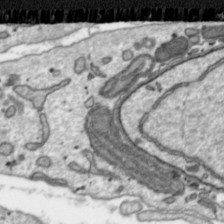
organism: Toxoplasma gondii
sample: Parasites in a vacuole inside a host cell